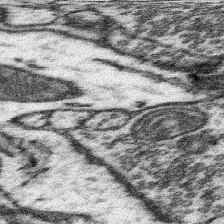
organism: Mouse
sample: Somatosensory cortex neuropil